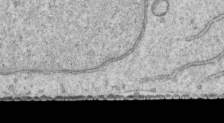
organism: Human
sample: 1205lu cells